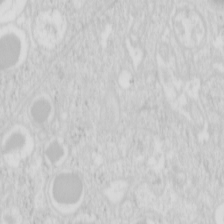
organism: Mouse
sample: Pancreas